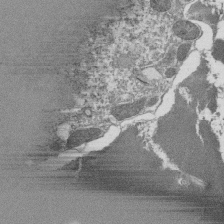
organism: Tetrahymena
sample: Cilia in tetrahymena